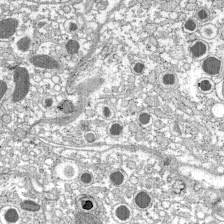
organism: C57BL Mouse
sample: Pancreatic islet